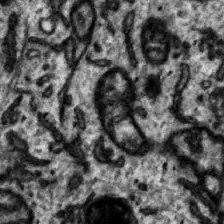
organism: Human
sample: HeLa cells